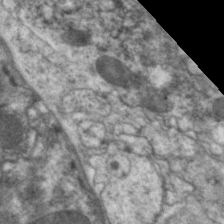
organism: C. elegans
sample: Pharynx